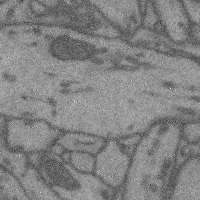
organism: Mouse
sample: Cerebral cortex